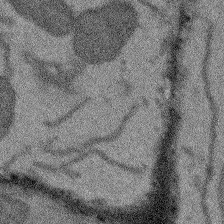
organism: Arabidopsis thaliana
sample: Root tip